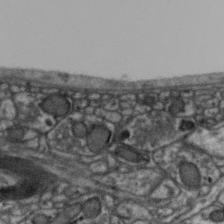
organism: Zebra finch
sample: Brain